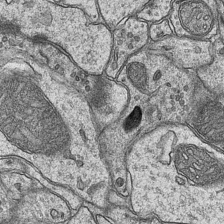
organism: Mouse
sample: CA1 Hippocampus